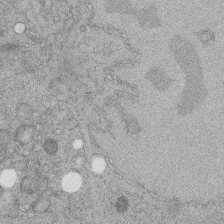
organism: C. elegans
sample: C. elegans embryo early stage